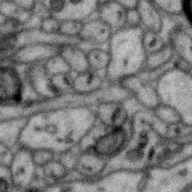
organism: Zebra finch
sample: Brain